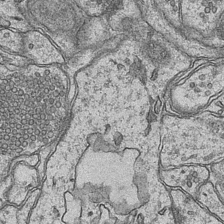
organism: Mouse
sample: CA1 Hippocampus